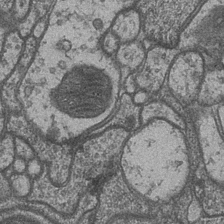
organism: Drosophila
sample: Optic medulla